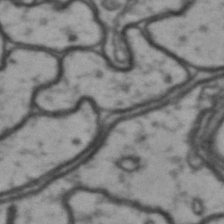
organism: Drosophila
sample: Brain